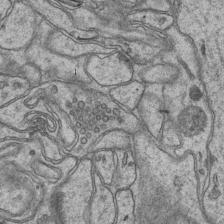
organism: Mouse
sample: CA1 Hippocampus